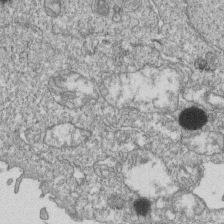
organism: Human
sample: HeLa cell HIV synapse